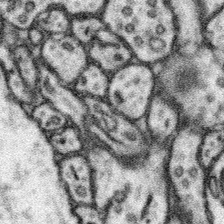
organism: Mouse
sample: Somatosensory cortex neuropil